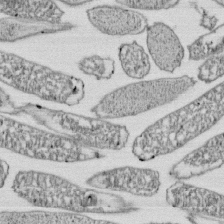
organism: E. coli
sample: Bacterial nucleoid